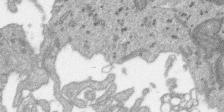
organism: Human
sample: Lung epithelial cells infected with SARS-CoV-2